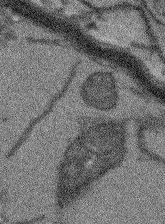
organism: Arabidopsis thaliana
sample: Root tip